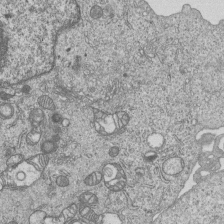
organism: Human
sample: MDA-MB-231 cells